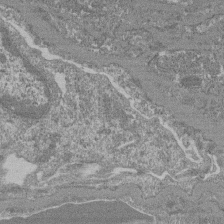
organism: Mouse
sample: Glomerulus